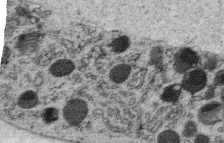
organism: C. elegans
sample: C. elegans oocyte; sperm cells